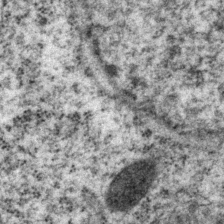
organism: P. pacificus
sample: Pharynx